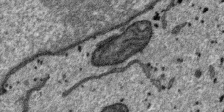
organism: Human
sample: Lung epithelial cells, uninfected (mock) control